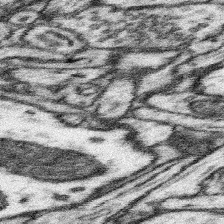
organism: Mouse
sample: Somatosensory cortex neuropil